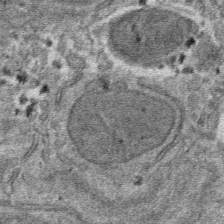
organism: Mouse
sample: Mouse hepatocytes